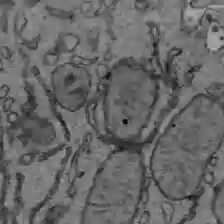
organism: C57BL Mouse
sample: Liver